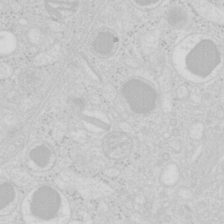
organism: Mouse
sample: Pancreas